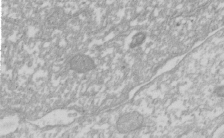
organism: Xenopus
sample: Cilia; centrioles in frog embryo cells